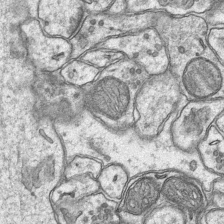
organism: Mouse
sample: CA1 Hippocampus